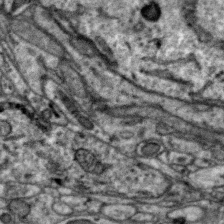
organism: Zebra finch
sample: Brain